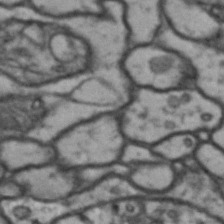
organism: Drosophila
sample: Brain